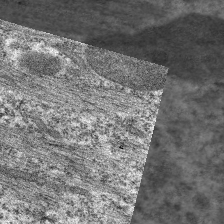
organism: C. elegans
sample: Pharynx